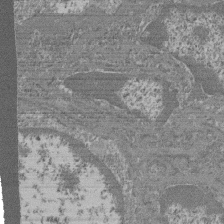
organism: Mouse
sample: Glomerulus